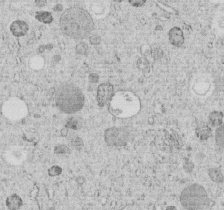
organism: C. elegans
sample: C. elegans embryo early stage